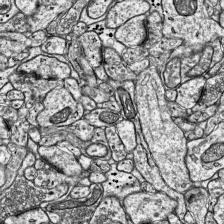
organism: Mouse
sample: Visual Cortex